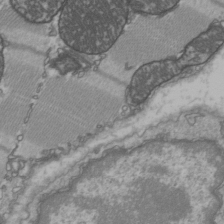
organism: C57BL Mouse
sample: Heart